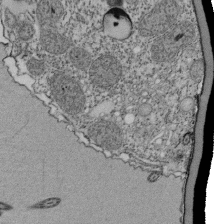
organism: Tetrahymena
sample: Cilia in tetrahymena